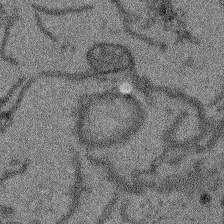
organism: Arabidopsis thaliana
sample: Root tip